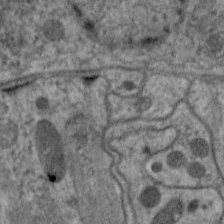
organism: C. elegans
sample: Pharynx